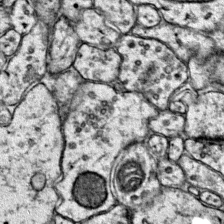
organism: Mouse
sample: Primary visual cortex